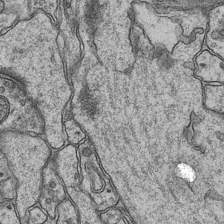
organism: Mouse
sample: CA1 Hippocampus